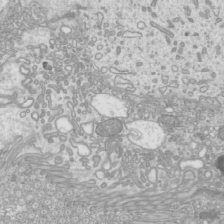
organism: Mouse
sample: Cilia; mouse epididymis